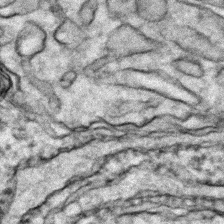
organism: Zebrafish